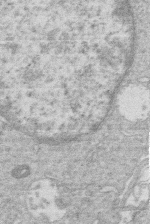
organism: Human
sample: Macrophage cells